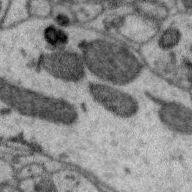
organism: Zebra finch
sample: Brain